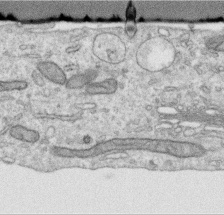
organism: Human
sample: Centriole in RPE cells